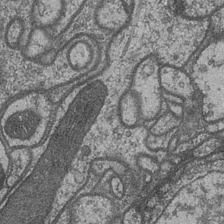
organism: Drosophila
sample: Optic medulla